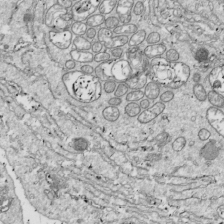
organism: Drosophila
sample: Cell division; meiosis; drosophila spermatocytes